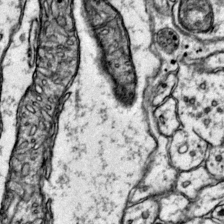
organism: Mouse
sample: Primary visual cortex